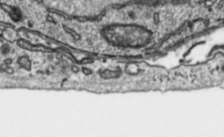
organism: Toxoplasma gondii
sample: Parasites in a vacuole inside a host cell